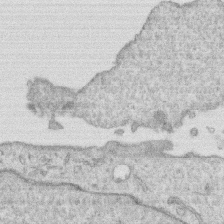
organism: Human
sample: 1205lu cells